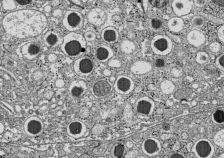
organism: C57BL Mouse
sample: Pancreatic islet